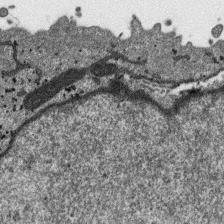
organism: Human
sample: Lung epithelial cells infected with SARS-CoV-2